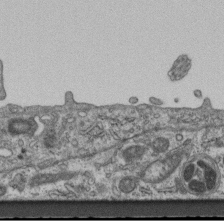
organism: Mouse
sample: Centriole in ependymal cells